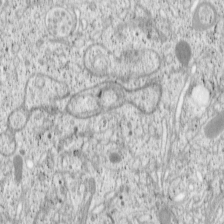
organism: African green monkey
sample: COS-7 cells